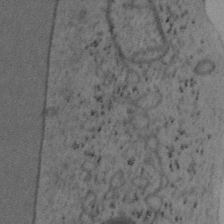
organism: Human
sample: HeLa cells